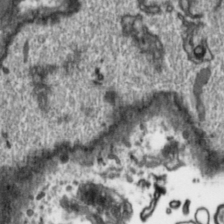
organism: Toxoplasma gondii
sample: Parasites in a vacuole inside a host cell